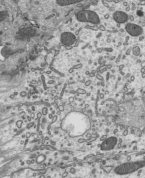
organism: Mouse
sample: Mouse epididymis efferent ductule cilia